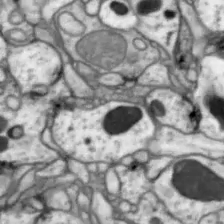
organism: Drosophila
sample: Optic lobe